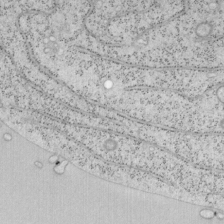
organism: Mouse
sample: OT-I killer T cells with ID8 ovarian cancer cells